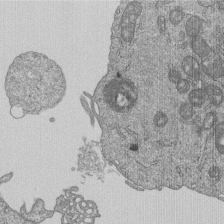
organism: Human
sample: MDA-MB-231 cells